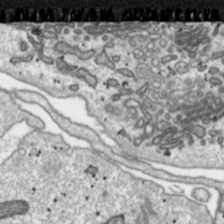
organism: Toxoplasma gondii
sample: Parasites in a vacuole inside a host cell